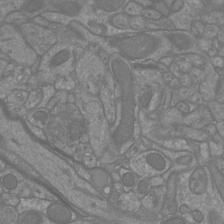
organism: Mouse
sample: Cortical neurons